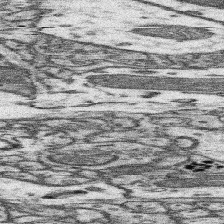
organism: Mouse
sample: Somatosensory cortex neuropil